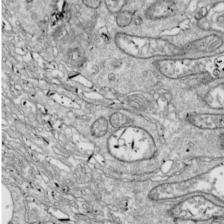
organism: Drosophila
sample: Cell division; meiosis; drosophila spermatocytes